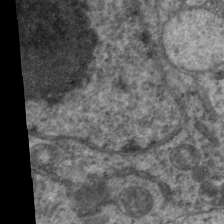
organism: C. elegans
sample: Pharynx